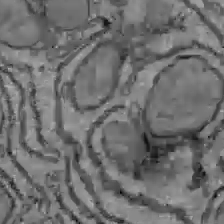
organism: C57BL Mouse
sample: Liver